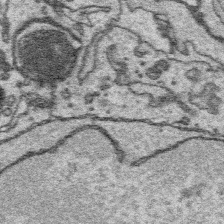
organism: Platynereis dumerilii